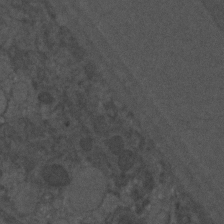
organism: C. elegans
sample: C. elegans embryo